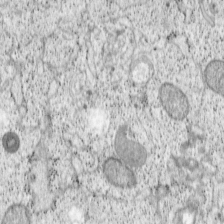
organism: African green monkey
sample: COS-7 cells